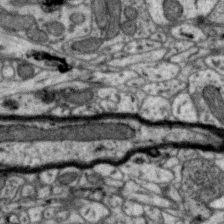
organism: Zebra finch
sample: Brain